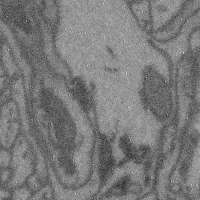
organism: Mouse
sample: Cerebral cortex